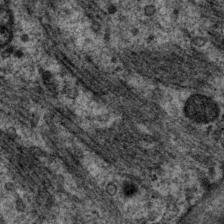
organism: P. pacificus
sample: Pharynx